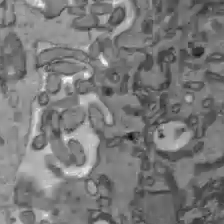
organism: C57BL Mouse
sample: Liver